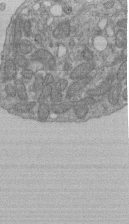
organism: Human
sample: Retinal organoid Rod and Cone cells